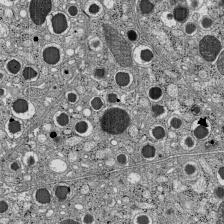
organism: C57BL Mouse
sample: Pancreatic islet